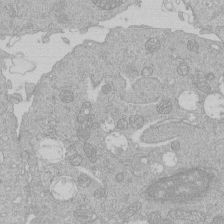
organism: Human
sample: Macrophage cells